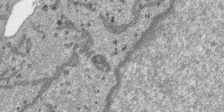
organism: Human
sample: Lung epithelial cells infected with SARS-CoV-2